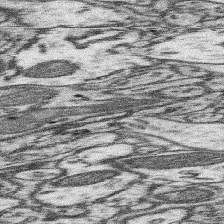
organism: Mouse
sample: Somatosensory cortex neuropil